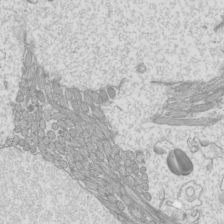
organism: Mouse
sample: Cilia; mouse epididymis